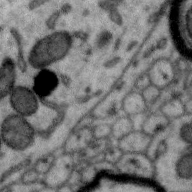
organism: Zebra finch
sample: Brain